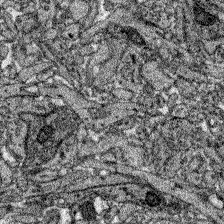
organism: Zebrafish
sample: Larval olfactory bulb